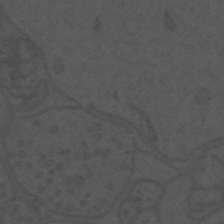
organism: Mouse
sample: Suprachiasmatic nucleus